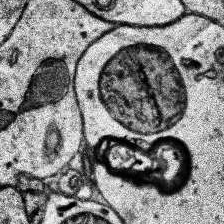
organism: Human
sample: Temporal Lobe